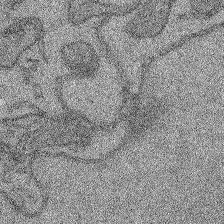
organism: Human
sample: HeLa cells